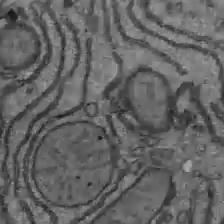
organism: C57BL Mouse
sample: Liver